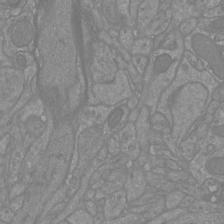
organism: Mouse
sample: Cortical neurons